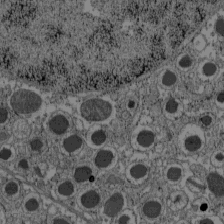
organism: C57BL Mouse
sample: Pancreatic islet